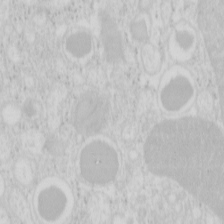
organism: Mouse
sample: Pancreas